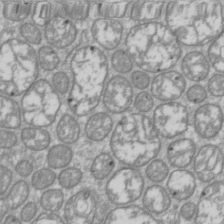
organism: Drosophila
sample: Cell division; meiosis; drosophila spermatocytes